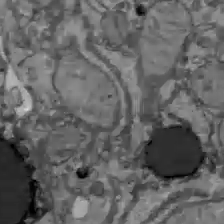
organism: C57BL Mouse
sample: Liver